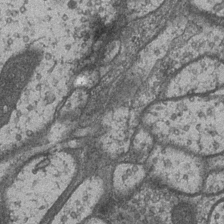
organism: Drosophila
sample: Optic medulla